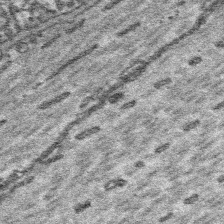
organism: Platynereis dumerilii